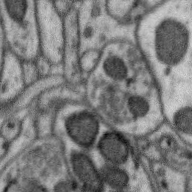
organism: Zebra finch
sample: Brain